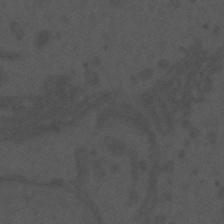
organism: Mouse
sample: Suprachiasmatic nucleus